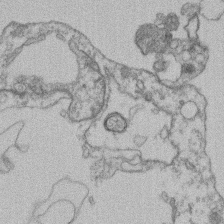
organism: Mouse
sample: T cell stromal cell synapse